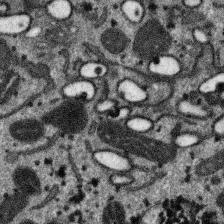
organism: Human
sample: Lung epithelial cells infected with SARS-CoV-2